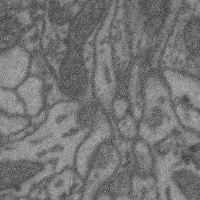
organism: Mouse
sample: Cerebral cortex